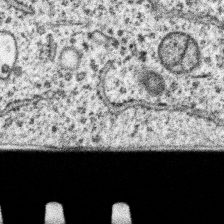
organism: Human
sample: HeLa cells